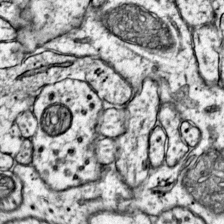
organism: Mouse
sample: Primary visual cortex